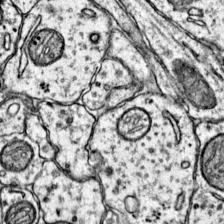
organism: Mouse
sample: Primary visual cortex